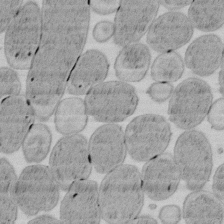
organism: E. coli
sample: Bacterial nucleoid